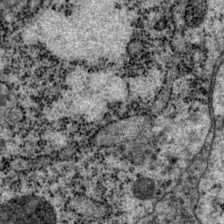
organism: P. pacificus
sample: Pharynx